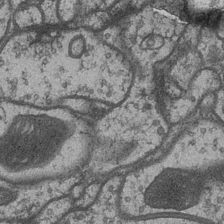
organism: Drosophila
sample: Optic medulla